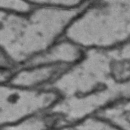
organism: Drosophila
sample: Brain